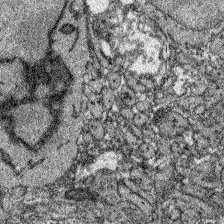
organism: Zebrafish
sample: Larval olfactory bulb